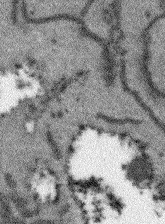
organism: Arabidopsis thaliana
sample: Root tip